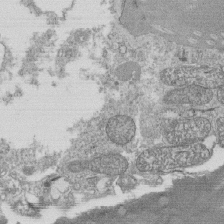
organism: Tetrahymena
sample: Cilia in tetrahymena